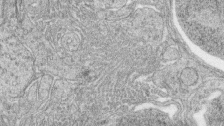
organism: Zebrafish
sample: synaptic ribbons in rod cells and cone cells